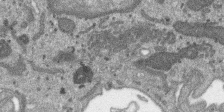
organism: Human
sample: Lung epithelial cells infected with SARS-CoV-2